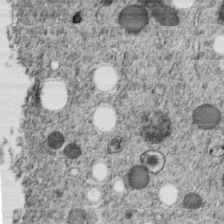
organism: C. elegans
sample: C. elegans embryo early stage